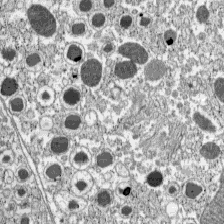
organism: C57BL Mouse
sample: Pancreatic islet